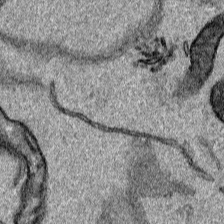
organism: Human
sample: Mitochondria in HCT116 cells